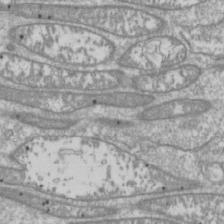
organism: Drosophila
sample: Cell division; meiosis; drosophila spermatocytes